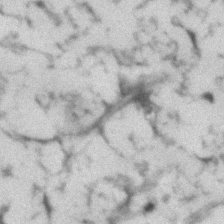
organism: Human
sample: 1205lu cells